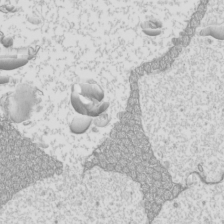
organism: Mouse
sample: Cilia; mouse epididymis